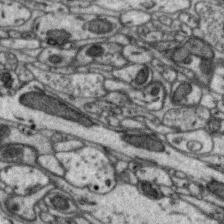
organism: Zebra finch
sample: Brain